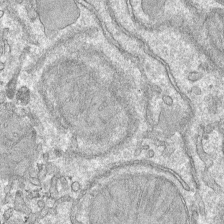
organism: Mouse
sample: Mouse hepatocytes